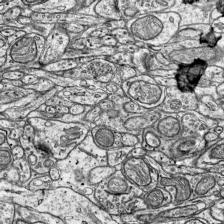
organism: Mouse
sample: Visual Cortex